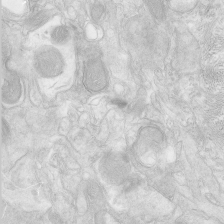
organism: Human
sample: Neocortex